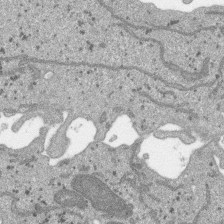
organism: Human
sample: Lung epithelial cells infected with SARS-CoV-2